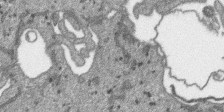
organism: Human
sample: Lung epithelial cells infected with SARS-CoV-2